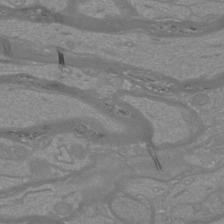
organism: Mouse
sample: Cortical neurons